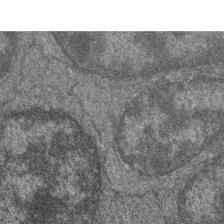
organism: Zebrafish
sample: Cilia; retinal pigment epithelium